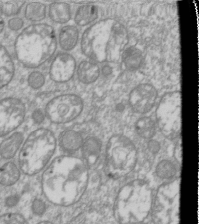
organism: Drosophila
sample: Cell division; meiosis; drosophila spermatocytes